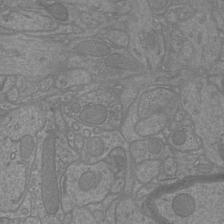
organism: Mouse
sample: Cortical neurons